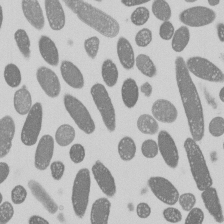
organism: E. coli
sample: Bacterial nucleoid